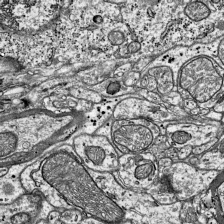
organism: Mouse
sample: Visual Cortex